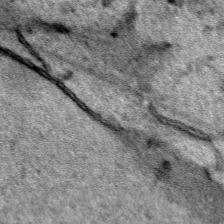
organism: Human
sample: Mitochondria in HCT116 cells